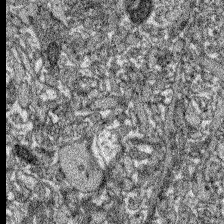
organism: Zebrafish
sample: Larval olfactory bulb